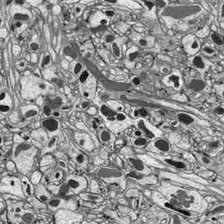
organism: Drosophila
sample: Optic lobe